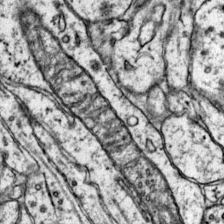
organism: Mouse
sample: Primary visual cortex